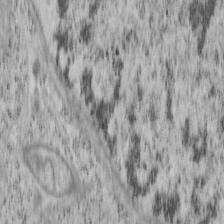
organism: Human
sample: HeLa cells